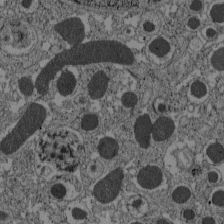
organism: C57BL Mouse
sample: Pancreatic islet